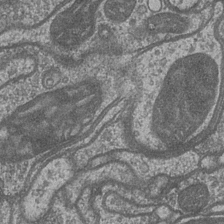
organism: Drosophila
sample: Optic medulla